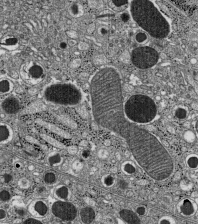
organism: C57BL Mouse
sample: Pancreatic islet